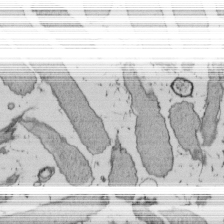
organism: E. coli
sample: Bacterial nucleoid